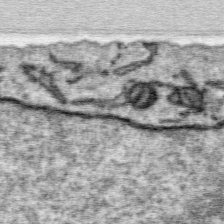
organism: Human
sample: HeLa cells